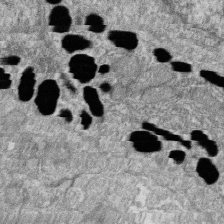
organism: Zebrafish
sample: Cilia; retinal pigment epithelium